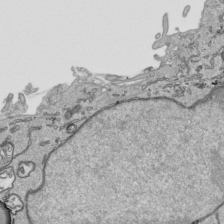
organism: Human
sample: Mitochondria in HCT116 cells